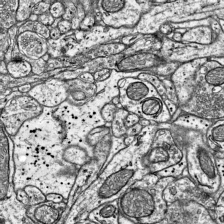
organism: Mouse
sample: Visual Cortex